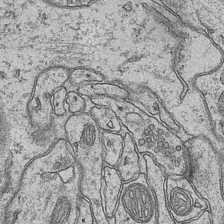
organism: Mouse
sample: CA1 Hippocampus